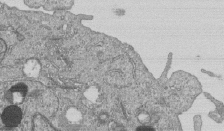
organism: Human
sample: MDA-MB-231 cells